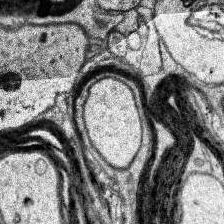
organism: Human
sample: Temporal Lobe